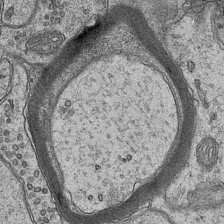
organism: Mouse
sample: CA1 Hippocampus